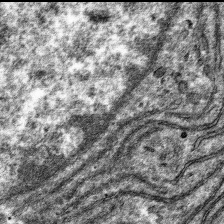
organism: Mouse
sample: Mouse hepatocytes